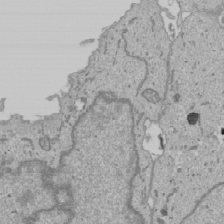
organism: Human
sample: Mitochondria in U2OS cells